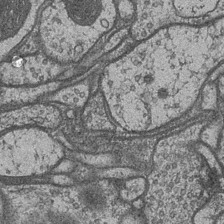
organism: Drosophila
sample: Optic medulla